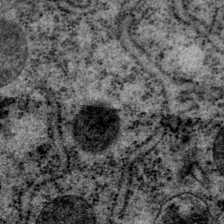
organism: P. pacificus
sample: Pharynx